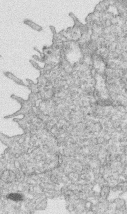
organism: Human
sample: HeLa cell HIV synapse